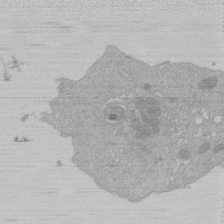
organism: Mouse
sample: Activated Pmel transgenic CD8+ T Cells